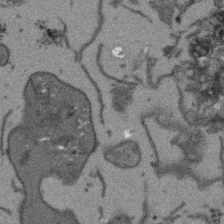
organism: Arabidopsis thaliana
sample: Root tip